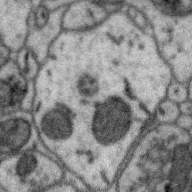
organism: Zebra finch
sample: Brain